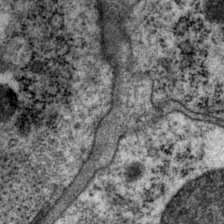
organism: P. pacificus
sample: Pharynx